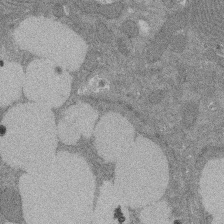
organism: Rat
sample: Salivary granule